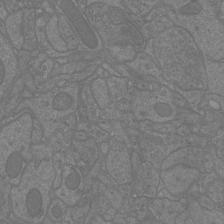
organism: Mouse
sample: Cortical neurons